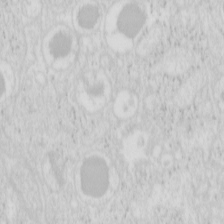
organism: Mouse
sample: Pancreas